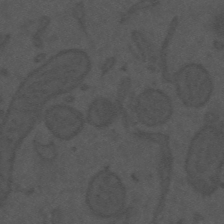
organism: Mouse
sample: Suprachiasmatic nucleus